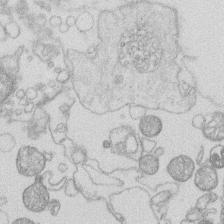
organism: Human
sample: Macrophage cells